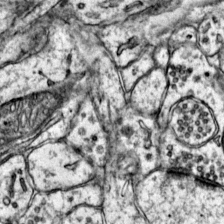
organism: Mouse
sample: Primary visual cortex